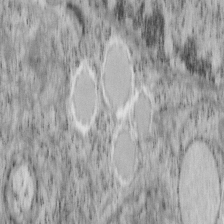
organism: Human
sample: HeLa cells